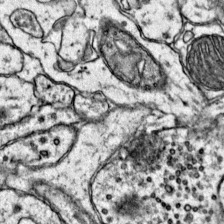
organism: Mouse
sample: Primary visual cortex